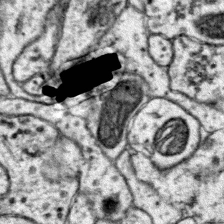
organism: Mouse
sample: Primary visual cortex